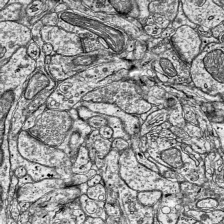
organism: Mouse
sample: Visual Cortex